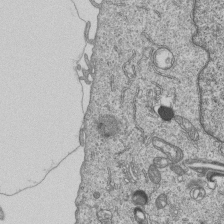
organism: Human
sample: MDA-MB-231 cells